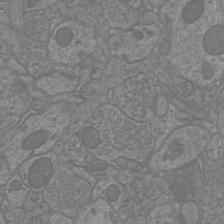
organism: Mouse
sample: Cortical neurons